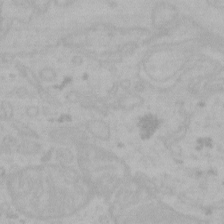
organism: Mouse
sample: Choroid plexus